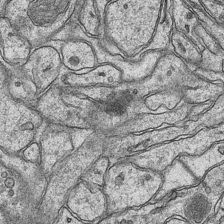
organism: Mouse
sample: CA1 Hippocampus